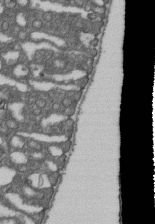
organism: Drosophila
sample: Nephrocyte